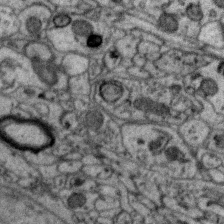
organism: Zebra finch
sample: Brain